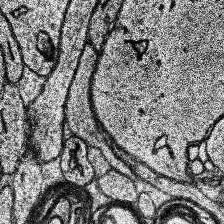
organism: Human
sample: Temporal Lobe